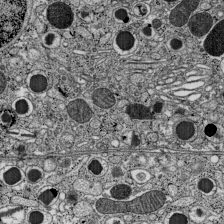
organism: C57BL Mouse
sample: Pancreatic islet